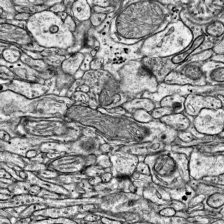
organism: Mouse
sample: Visual Cortex